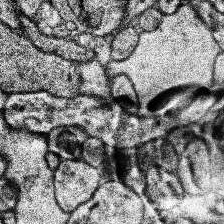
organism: Human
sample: Temporal Lobe